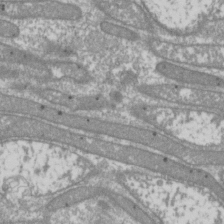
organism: Drosophila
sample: Cell division; meiosis; drosophila spermatocytes